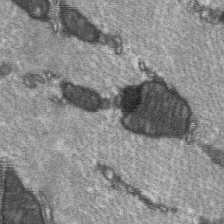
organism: C57BL Mouse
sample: Soleus